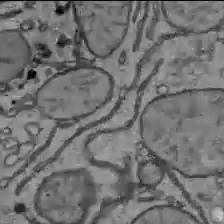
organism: C57BL Mouse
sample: Liver